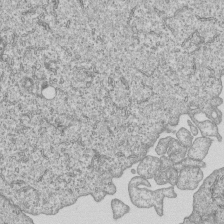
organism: Human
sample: MDA-MB-231 cells